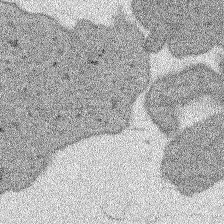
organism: Human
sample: HeLa cells